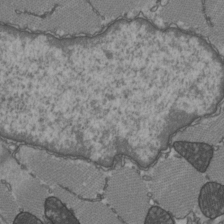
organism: C57BL Mouse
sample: Heart